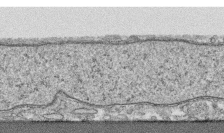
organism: Human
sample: CRL-1474